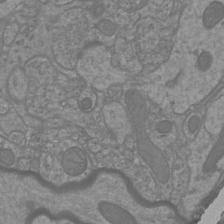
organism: Mouse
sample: Cortical neurons